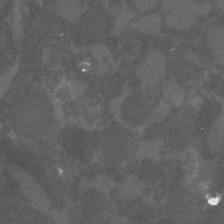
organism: C. elegans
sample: C. elegans embryo